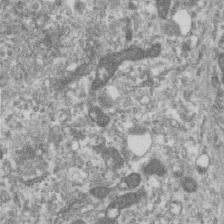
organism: Human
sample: Centriole in RPE cells